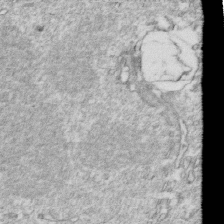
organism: Mouse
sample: Activated OT-1 CD8+ T cells